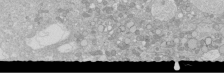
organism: Human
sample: Caco-2 cells